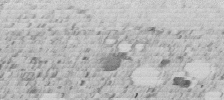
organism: C. elegans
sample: C. elegans embryo early stage